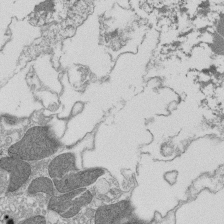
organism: Tetrahymena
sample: Cilia in tetrahymena